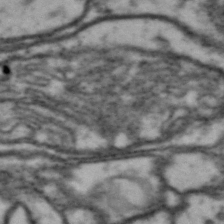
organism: Drosophila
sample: Brain